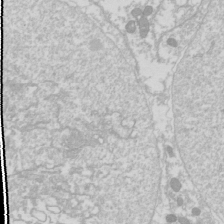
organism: Drosophila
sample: Cell division; meiosis; drosophila spermatocytes